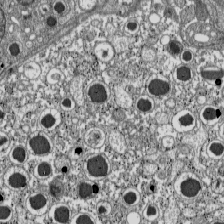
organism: C57BL Mouse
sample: Pancreatic islet